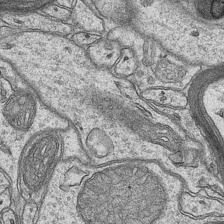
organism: Mouse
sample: CA1 Hippocampus